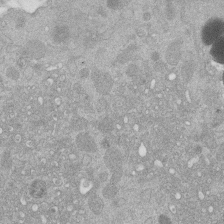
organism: Mouse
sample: Dividing mouse embryo 1 cell stage